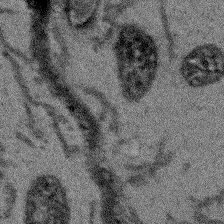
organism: Arabidopsis thaliana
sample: Root tip